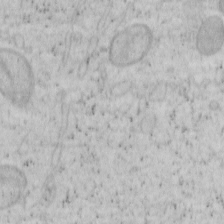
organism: Human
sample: HeLa cells